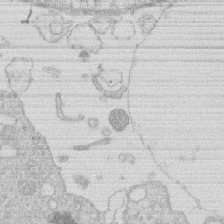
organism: Human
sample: Macrophage cells